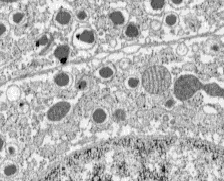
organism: C57BL Mouse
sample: Pancreatic islet